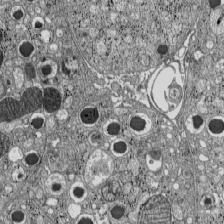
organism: C57BL Mouse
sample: Pancreatic islet